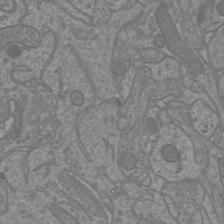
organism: Mouse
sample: Cortical neurons